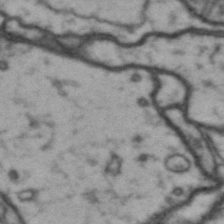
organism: Drosophila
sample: Brain